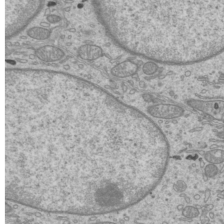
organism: Mouse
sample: Cilia; mouse epididymis